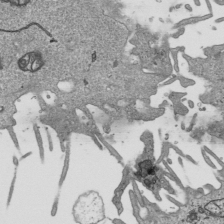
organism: Human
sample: Mitochondria in HCT116 cells